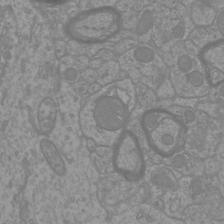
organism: Mouse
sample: Cortical neurons